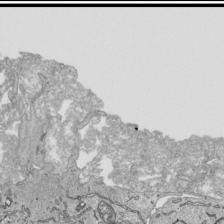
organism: Human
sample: Mitochondria in HCT116 cells